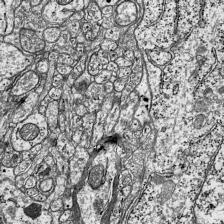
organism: Mouse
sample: Visual Cortex